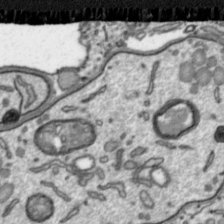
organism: Toxoplasma gondii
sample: Parasites in a vacuole inside a host cell